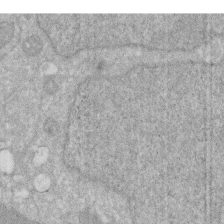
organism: Human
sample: HIV infected U937 cells